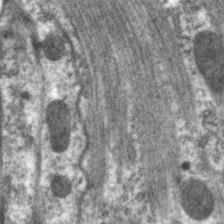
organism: C. elegans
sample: Pharynx